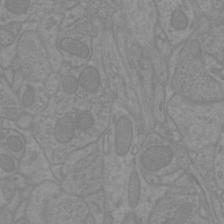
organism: Mouse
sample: Cortical neurons